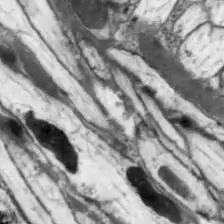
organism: Drosophila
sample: Optic lobe